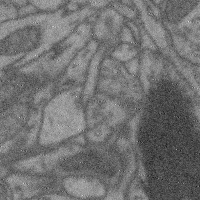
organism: Mouse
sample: Cerebral cortex